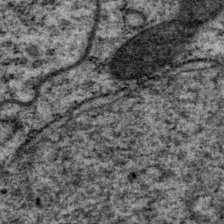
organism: P. pacificus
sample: Pharynx